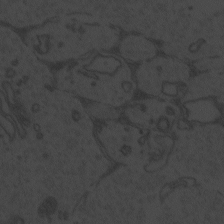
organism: Zebrafish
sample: Macrophage infected with Toxoplasma gondii